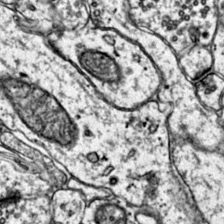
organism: Mouse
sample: Primary visual cortex